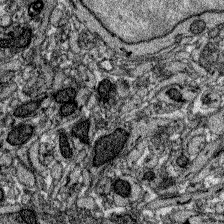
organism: Zebrafish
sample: Larval olfactory bulb